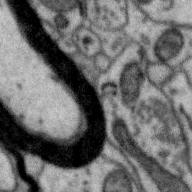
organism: Zebra finch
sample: Brain